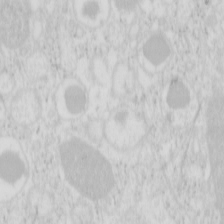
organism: Mouse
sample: Pancreas